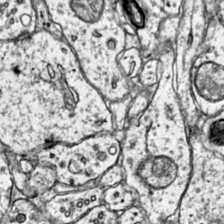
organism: Mouse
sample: Primary visual cortex